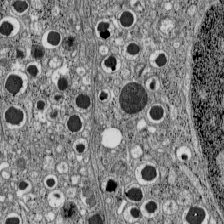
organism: C57BL Mouse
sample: Pancreatic islet